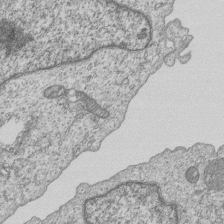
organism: Human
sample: MDA-MB-231 cells